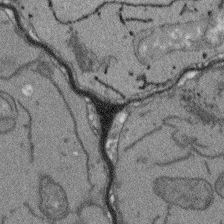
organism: Arabidopsis thaliana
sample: Root tip